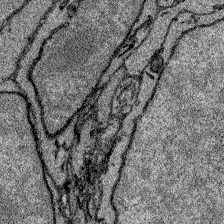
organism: Zebrafish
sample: Larval olfactory bulb